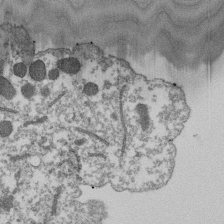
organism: Dictyostelium discoideum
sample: Dictyostelium multivesicular bodies